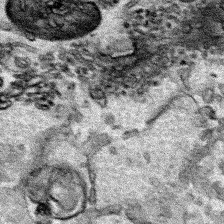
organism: Human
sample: Mitochondria in HCT116 cells